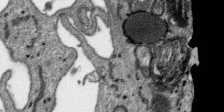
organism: Human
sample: Lung epithelial cells, uninfected (mock) control